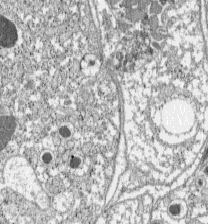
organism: C57BL Mouse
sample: Pancreatic islet